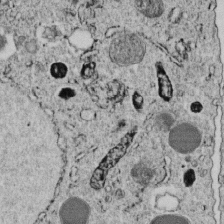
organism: C. elegans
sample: C. elegans embryo early stage